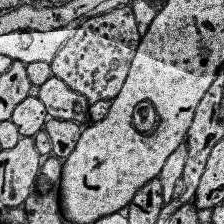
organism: Human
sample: Temporal Lobe